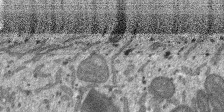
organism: Human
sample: Lung epithelial cells infected with SARS-CoV-2